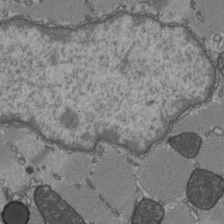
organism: C57BL Mouse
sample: Heart